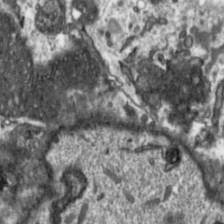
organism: Toxoplasma gondii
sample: Parasites in a vacuole inside a host cell